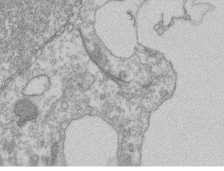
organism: Mouse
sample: T cell stromal cell synapse